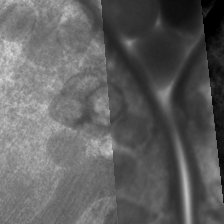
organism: C. elegans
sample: Pharynx